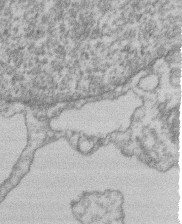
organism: Mouse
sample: T cell stromal cell synapse